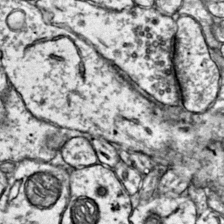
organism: Mouse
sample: Primary visual cortex